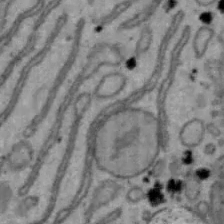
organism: Mouse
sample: Liver